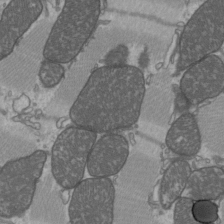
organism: C57BL Mouse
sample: Heart